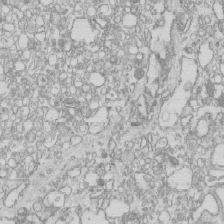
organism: Mouse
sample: Macrophages